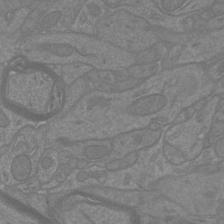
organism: Mouse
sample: Cortical neurons